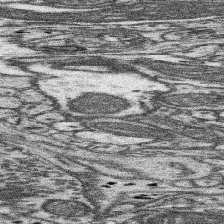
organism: Mouse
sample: Somatosensory cortex neuropil